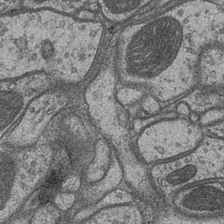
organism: Drosophila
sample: Optic medulla